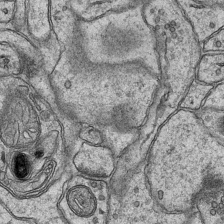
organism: Mouse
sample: CA1 Hippocampus